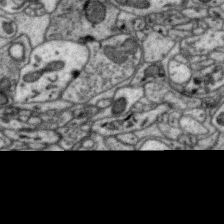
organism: Zebra finch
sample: Brain